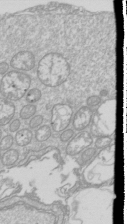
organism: Drosophila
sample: Cell division; meiosis; drosophila spermatocytes